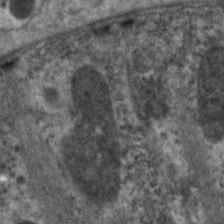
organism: C. elegans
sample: Pharynx